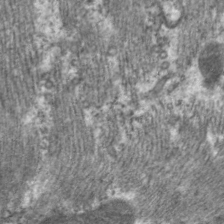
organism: C. elegans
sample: Pharynx